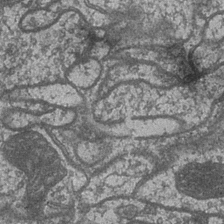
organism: Drosophila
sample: Optic medulla